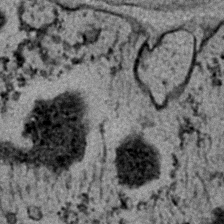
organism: C. elegans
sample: C. elegans embryo